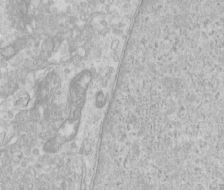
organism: Human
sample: Centriole in RPE cells